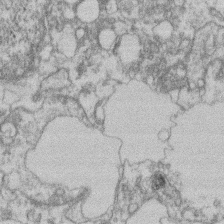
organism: Mouse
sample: T cell stromal cell synapse